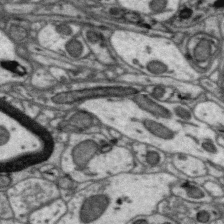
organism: Zebra finch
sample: Brain